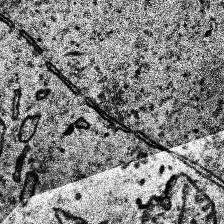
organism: Human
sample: Temporal Lobe